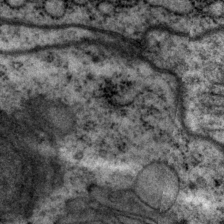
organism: P. pacificus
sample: Pharynx